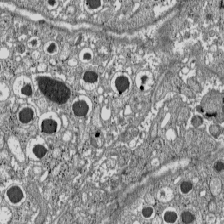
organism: C57BL Mouse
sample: Pancreatic islet